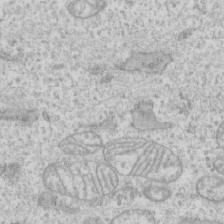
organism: Human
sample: CRL-1474